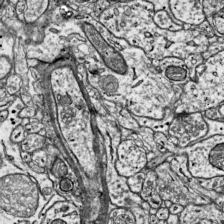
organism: Mouse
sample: Visual Cortex